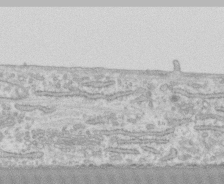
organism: Human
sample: CRL-1474